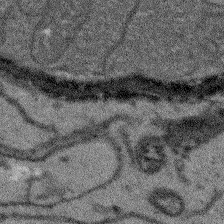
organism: Arabidopsis thaliana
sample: Root tip